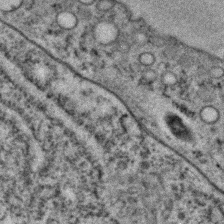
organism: C. elegans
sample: C. elegans embryo